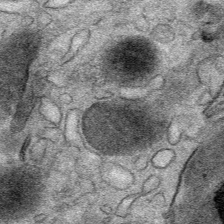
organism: Mouse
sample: Mouse Salivary gland